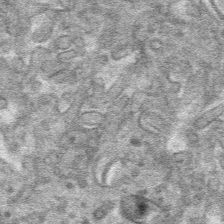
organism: Mouse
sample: Mouse hepatocytes